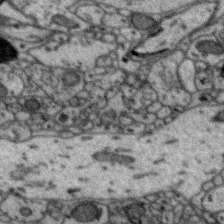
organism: Zebra finch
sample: Brain